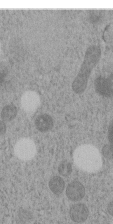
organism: C. elegans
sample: C. elegans embryo early stage